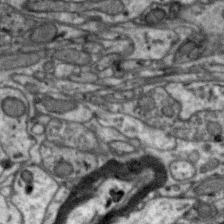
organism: Zebra finch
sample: Brain